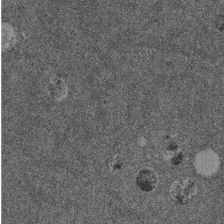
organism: Mouse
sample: Dividing mouse embryo 1 cell stage